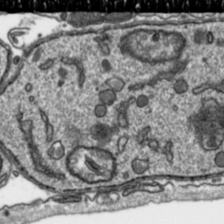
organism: Toxoplasma gondii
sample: Parasites in a vacuole inside a host cell